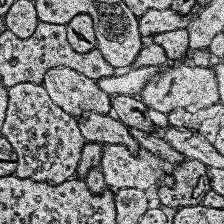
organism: Human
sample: Temporal Lobe